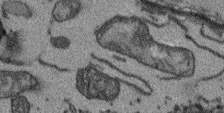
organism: Arabidopsis thaliana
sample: Root tip